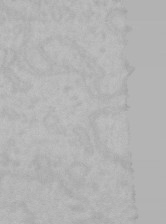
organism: Mouse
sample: Choroid plexus